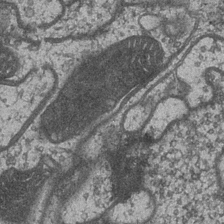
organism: Drosophila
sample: Optic medulla